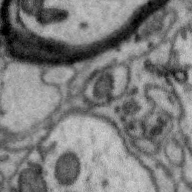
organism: Zebra finch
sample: Brain